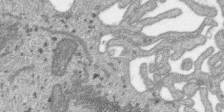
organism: Human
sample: Lung epithelial cells infected with SARS-CoV-2